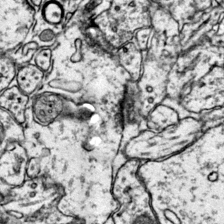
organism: Mouse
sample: Primary visual cortex